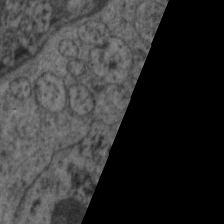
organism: C. elegans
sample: Pharynx